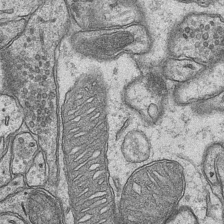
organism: Mouse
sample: CA1 Hippocampus